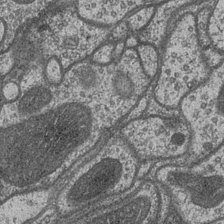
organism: Drosophila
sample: Optic medulla